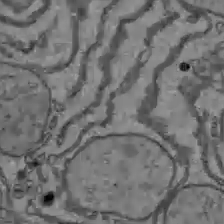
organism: C57BL Mouse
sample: Liver